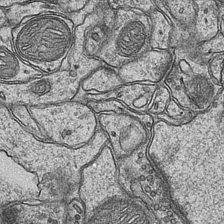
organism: Mouse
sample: CA1 Hippocampus